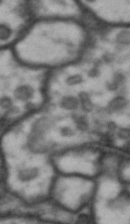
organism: Drosophila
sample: Brain